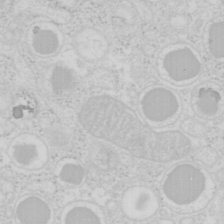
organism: Mouse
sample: Pancreas